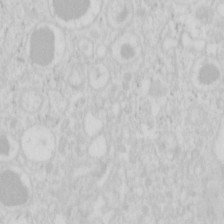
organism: Mouse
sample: Pancreas